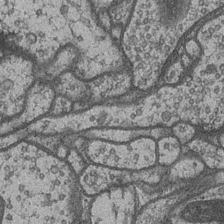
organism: Drosophila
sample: Optic medulla